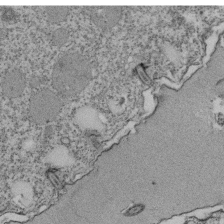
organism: Tetrahymena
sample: Cilia in tetrahymena